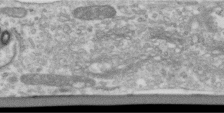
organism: Human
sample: Centriole in RPE cells